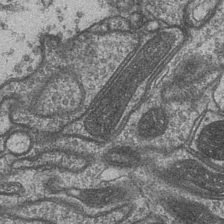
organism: Drosophila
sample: Optic medulla